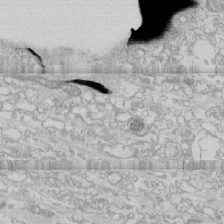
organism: Human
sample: CRL-1474